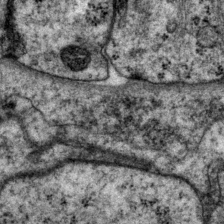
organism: P. pacificus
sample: Pharynx